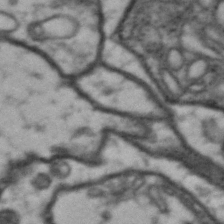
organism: Drosophila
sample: Brain